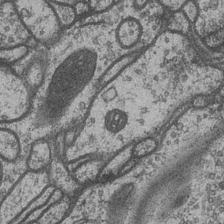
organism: Drosophila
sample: Optic medulla